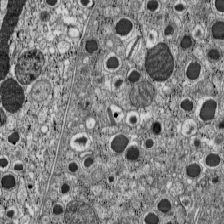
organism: C57BL Mouse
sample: Pancreatic islet